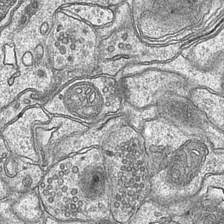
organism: Mouse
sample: CA1 Hippocampus